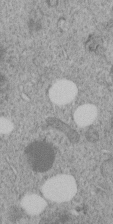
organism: C. elegans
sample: C. elegans embryo early stage